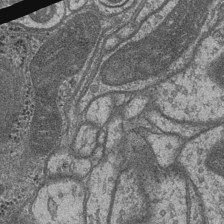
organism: Drosophila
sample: Optic medulla